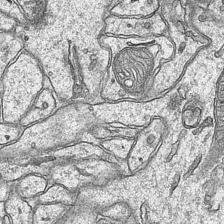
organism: Mouse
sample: CA1 Hippocampus